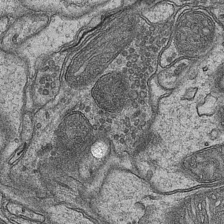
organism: Mouse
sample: CA1 Hippocampus